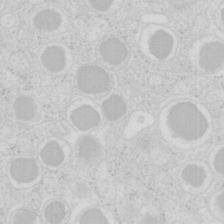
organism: Mouse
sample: Pancreas